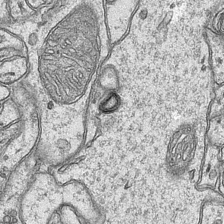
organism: Mouse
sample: CA1 Hippocampus